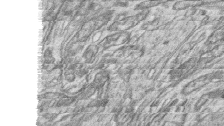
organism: Zebrafish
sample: synaptic ribbons in rod cells and cone cells